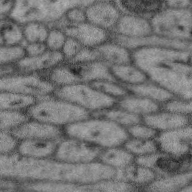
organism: Zebra finch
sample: Brain